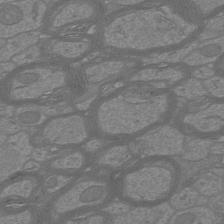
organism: Mouse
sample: Cortical neurons